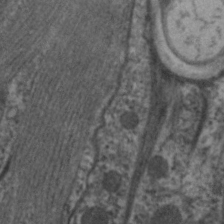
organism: C. elegans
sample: Pharynx